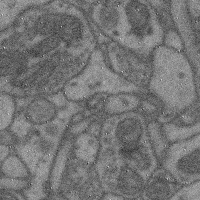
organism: Mouse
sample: Cerebral cortex